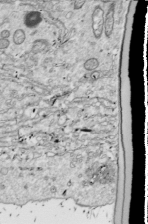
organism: Drosophila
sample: Cell division; meiosis; drosophila spermatocytes